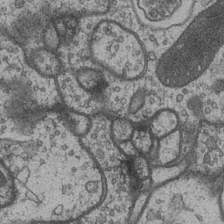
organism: Drosophila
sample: Optic medulla